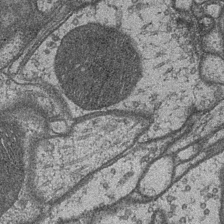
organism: Drosophila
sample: Optic medulla